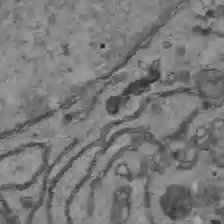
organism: C57BL Mouse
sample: Liver